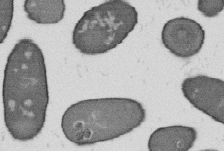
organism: B. subtilis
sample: Bacterial spore